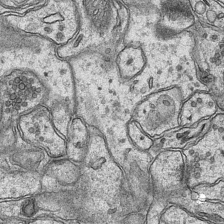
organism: Mouse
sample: CA1 Hippocampus